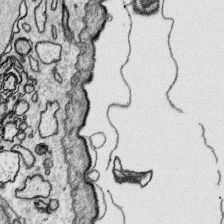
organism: Platynereis dumerilii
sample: Parapodia